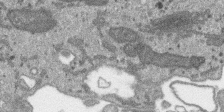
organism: Human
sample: Lung epithelial cells infected with SARS-CoV-2